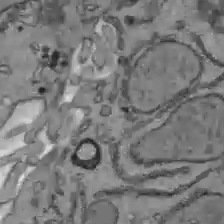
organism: C57BL Mouse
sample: Liver